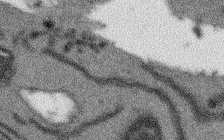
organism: Arabidopsis thaliana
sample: Root tip